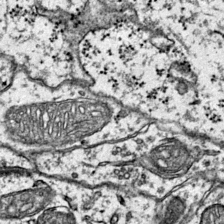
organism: Mouse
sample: Primary visual cortex